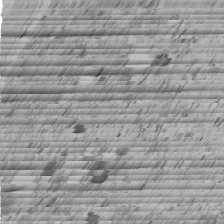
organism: C. elegans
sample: C. elegans embryo early stage